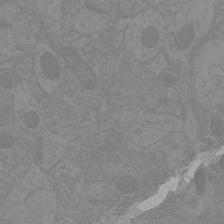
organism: Mouse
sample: Cortical neurons